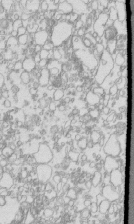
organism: Mouse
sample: Macrophages